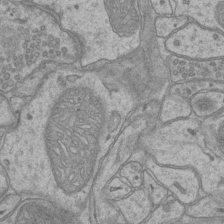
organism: Mouse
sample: CA1 Hippocampus